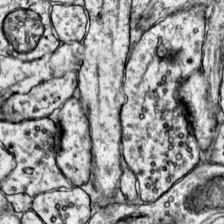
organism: Mouse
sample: Primary visual cortex